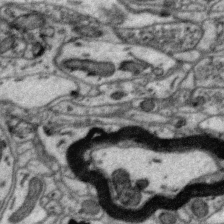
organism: Zebra finch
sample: Brain